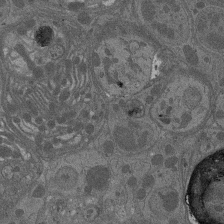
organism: Drosophila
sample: Antenna